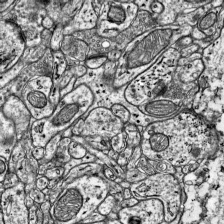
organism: Mouse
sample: Visual Cortex